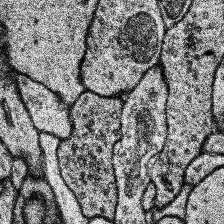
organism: Human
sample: Temporal Lobe